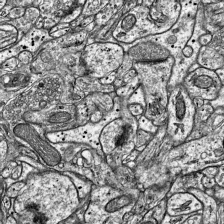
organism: Mouse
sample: Visual Cortex